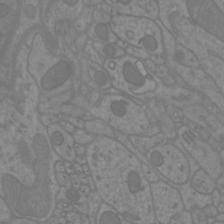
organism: Mouse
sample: Cortical neurons